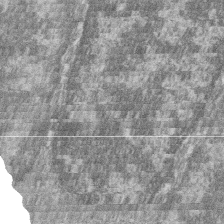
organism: Zebrafish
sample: Cilia; retinal pigment epithelium